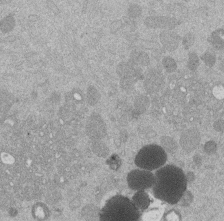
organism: Mouse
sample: Dividing mouse embryo 1 cell stage